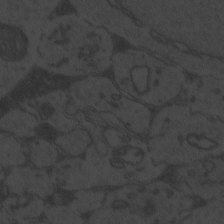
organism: Zebrafish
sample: Macrophage infected with Toxoplasma gondii